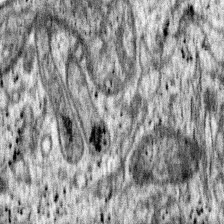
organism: Human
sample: HeLa cells